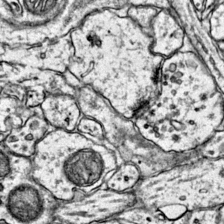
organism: Mouse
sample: Primary visual cortex